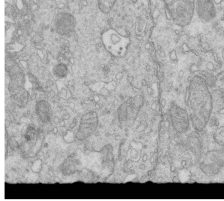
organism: Mouse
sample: Multiciliated cells